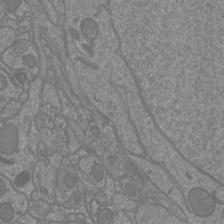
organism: Mouse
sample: Cortical neurons